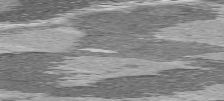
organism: C57BL Mouse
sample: Heart